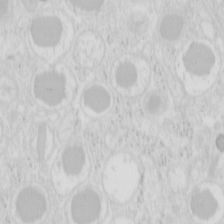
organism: Mouse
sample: Pancreas